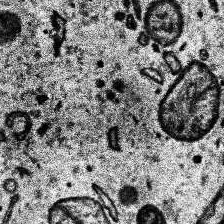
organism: Human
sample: Temporal Lobe